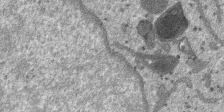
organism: Human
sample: Lung epithelial cells infected with SARS-CoV-2